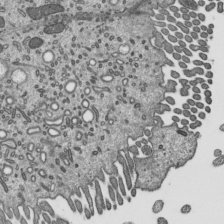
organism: Mouse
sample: Mouse epididymis efferent ductule cilia